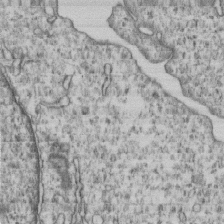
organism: Human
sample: MDA-MB-231 cells